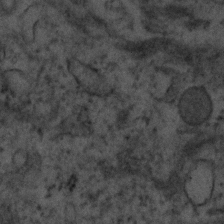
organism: Human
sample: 1205lu cells